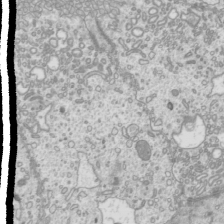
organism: Mouse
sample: Cilia; mouse epididymis